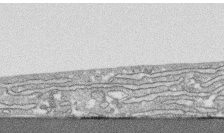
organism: Human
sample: CRL-1474